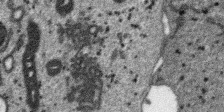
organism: Human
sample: Lung epithelial cells infected with SARS-CoV-2